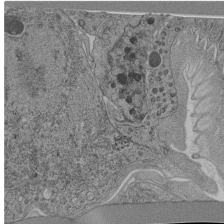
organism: C. elegans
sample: C. elegans pharynx